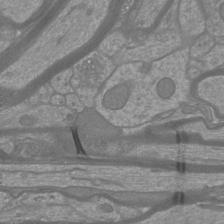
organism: Mouse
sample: Cortical neurons